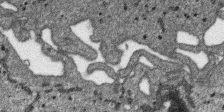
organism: Human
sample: Lung epithelial cells infected with SARS-CoV-2